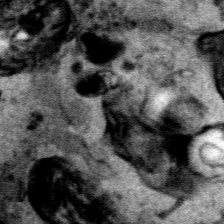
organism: Human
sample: Mitochondria in HCT116 cells